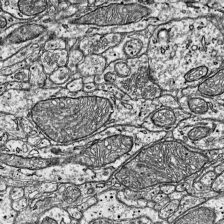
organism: Mouse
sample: Visual Cortex